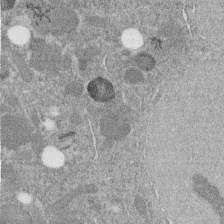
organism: C. elegans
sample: C. elegans embryo early stage